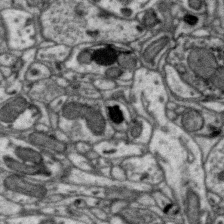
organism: Zebra finch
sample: Brain